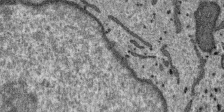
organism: Human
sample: Lung epithelial cells, uninfected (mock) control